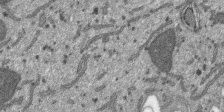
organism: Human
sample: Lung epithelial cells infected with SARS-CoV-2